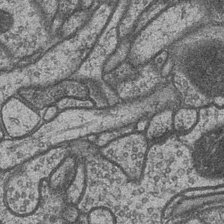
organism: Drosophila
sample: Optic medulla